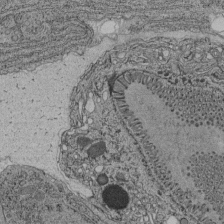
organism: C. elegans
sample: C. elegans pharynx